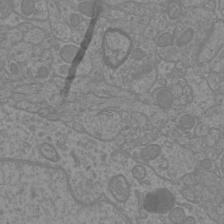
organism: Mouse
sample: Cortical neurons